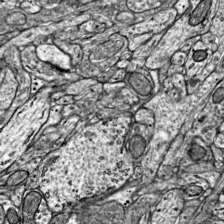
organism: Mouse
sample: Visual Cortex